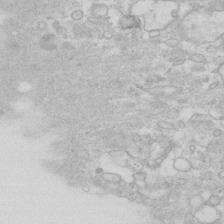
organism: Human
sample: Fibroblast cells